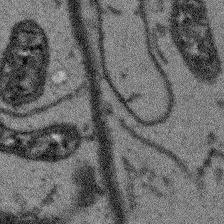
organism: Arabidopsis thaliana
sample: Root tip